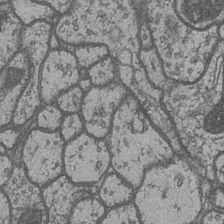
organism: Drosophila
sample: Optic medulla